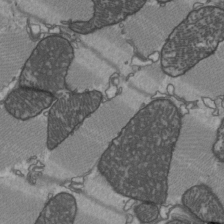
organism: C57BL Mouse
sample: Heart